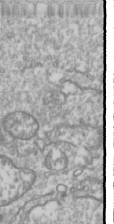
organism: Drosophila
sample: Cell division; meiosis; drosophila spermatocytes